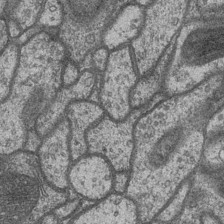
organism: Drosophila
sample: Optic medulla